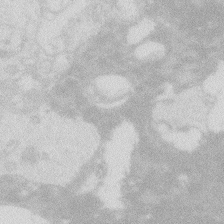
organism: Zebrafish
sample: Macrophage